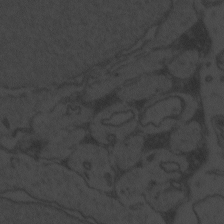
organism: Zebrafish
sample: Macrophage infected with Toxoplasma gondii